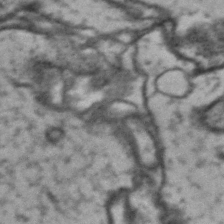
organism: Drosophila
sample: Brain